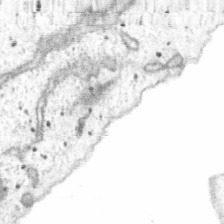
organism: Human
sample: HeLa cells